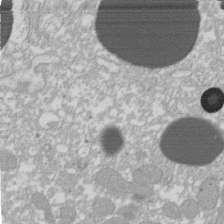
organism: Xenopus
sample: Cilia; centrioles in frog embryo cells